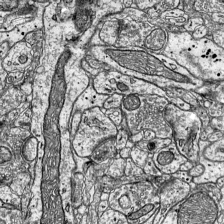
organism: Mouse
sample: Visual Cortex